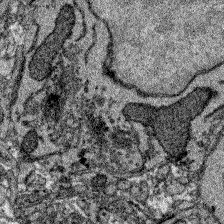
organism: Zebrafish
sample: Larval olfactory bulb